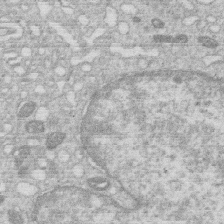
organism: Human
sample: Macrophage cells